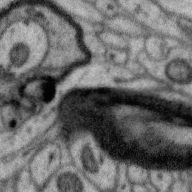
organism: Zebra finch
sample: Brain